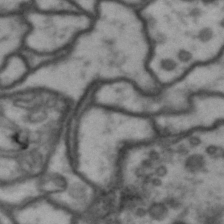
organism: Drosophila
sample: Brain